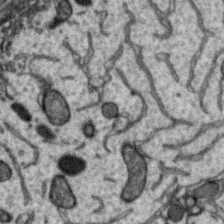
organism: Zebra finch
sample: Brain